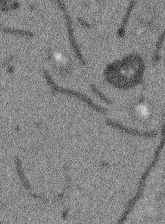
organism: Arabidopsis thaliana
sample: Root tip